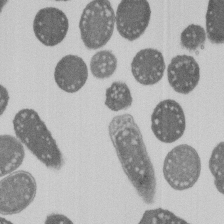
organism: E. coli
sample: Bacterial nucleoid